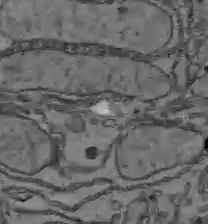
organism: C57BL Mouse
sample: Liver